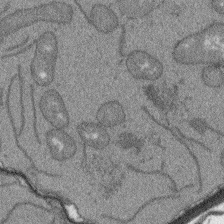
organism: Arabidopsis thaliana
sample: Root tip